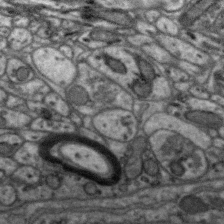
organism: Zebra finch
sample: Brain